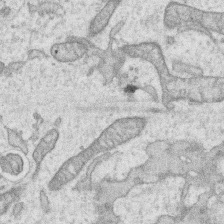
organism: Human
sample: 1205lu cells